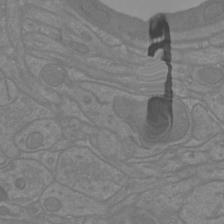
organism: Mouse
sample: Cortical neurons